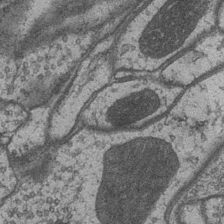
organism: Drosophila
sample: Optic medulla